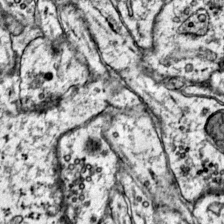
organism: Mouse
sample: Primary visual cortex